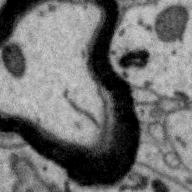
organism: Zebra finch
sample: Brain